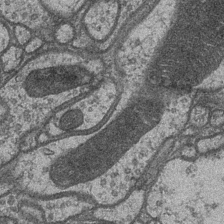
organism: Drosophila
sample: Optic medulla